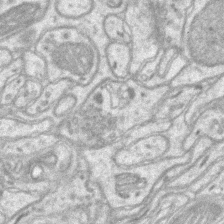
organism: Mouse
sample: CA1 Hippocampus